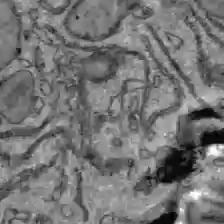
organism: C57BL Mouse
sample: Liver